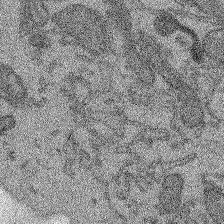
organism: Human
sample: HeLa cells